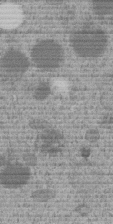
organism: C. elegans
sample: C. elegans embryo early stage